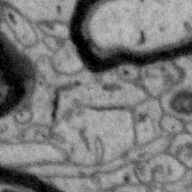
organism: Zebra finch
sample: Brain